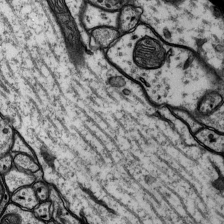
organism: Rat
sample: Hippocampus